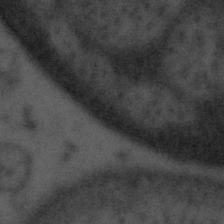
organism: Tuwongella immobilis